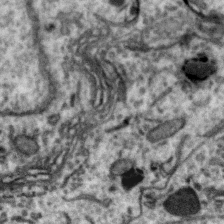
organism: Zebra finch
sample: Brain